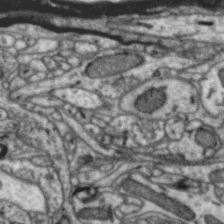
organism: Zebra finch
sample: Brain